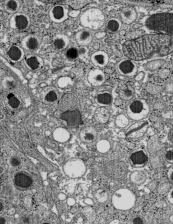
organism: C57BL Mouse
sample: Pancreatic islet